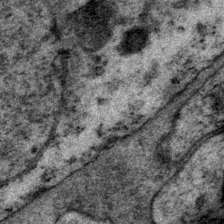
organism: P. pacificus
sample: Pharynx